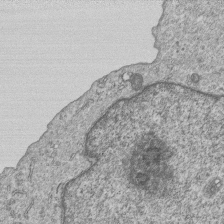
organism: Human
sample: MDA-MB-231 cells